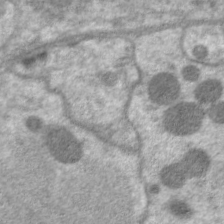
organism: C. elegans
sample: Pharynx